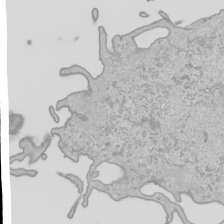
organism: Human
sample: Mitochondria in HCT116 cells